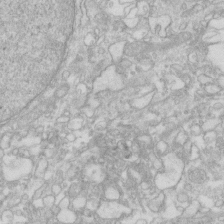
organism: Human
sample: Fibroblast cells